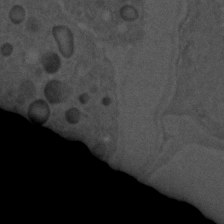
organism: C. elegans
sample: C. elegans embryo